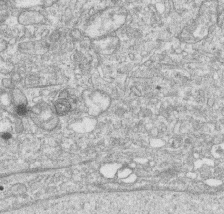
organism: Human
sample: HeLa cell HIV synapse